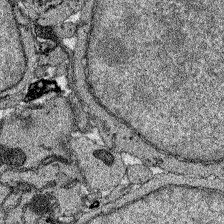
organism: Zebrafish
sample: Larval olfactory bulb